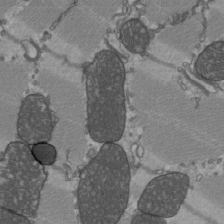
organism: C57BL Mouse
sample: Heart